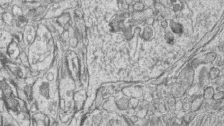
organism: Zebrafish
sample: synaptic ribbons in rod cells and cone cells